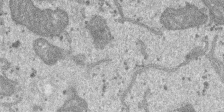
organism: Human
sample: Lung epithelial cells infected with SARS-CoV-2